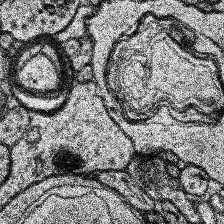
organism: Human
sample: Temporal Lobe